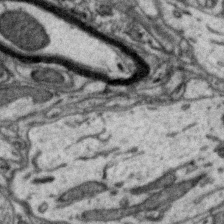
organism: Zebra finch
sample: Brain